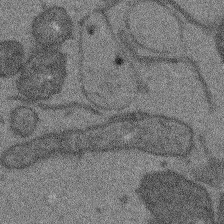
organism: Arabidopsis thaliana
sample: Root tip